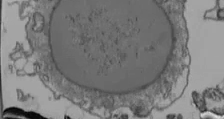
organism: Human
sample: Jurkat E6-1 and CD4 cells